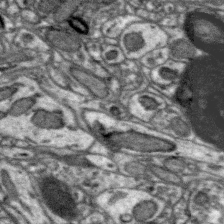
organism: Zebra finch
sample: Brain